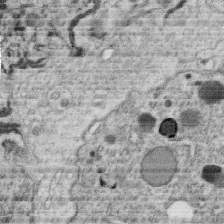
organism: C. elegans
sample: C. elegans oocyte; sperm cells